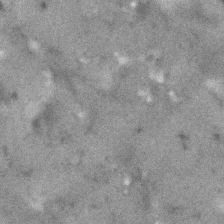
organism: Human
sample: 1205lu cells